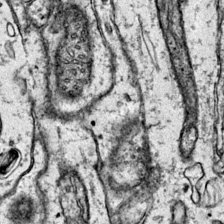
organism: Mouse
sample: Primary visual cortex